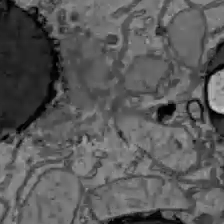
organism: C57BL Mouse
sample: Liver